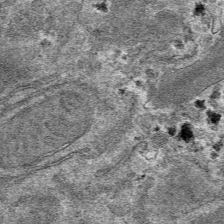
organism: Mouse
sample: Mouse hepatocytes